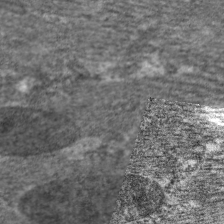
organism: C. elegans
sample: Pharynx